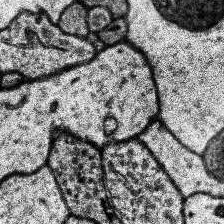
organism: Human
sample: Temporal Lobe